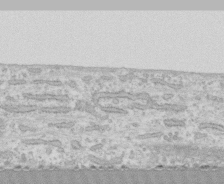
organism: Human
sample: CRL-1474